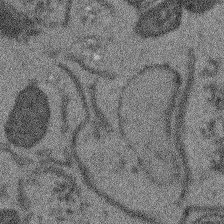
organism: Arabidopsis thaliana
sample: Root tip